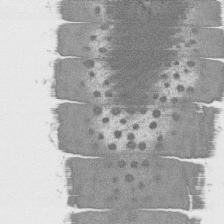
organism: C. elegans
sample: AFD neurons C. elegans